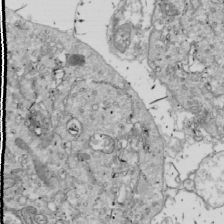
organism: Drosophila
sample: Cell division; meiosis; drosophila spermatocytes